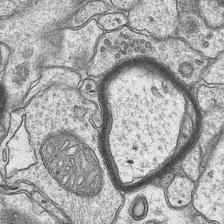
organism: Mouse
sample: CA1 Hippocampus